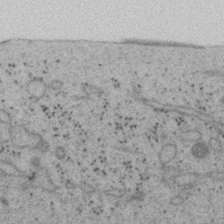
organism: Human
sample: HeLa cells